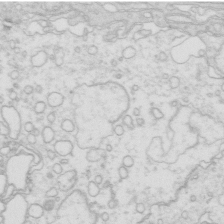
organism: Mouse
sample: Multiciliated cells